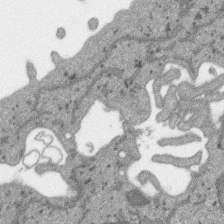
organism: Human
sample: Lung epithelial cells infected with SARS-CoV-2